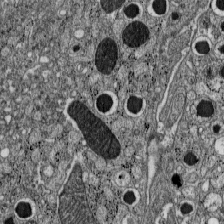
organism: C57BL Mouse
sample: Pancreatic islet